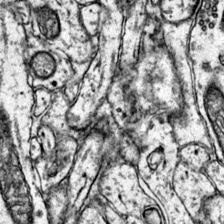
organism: Mouse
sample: Primary visual cortex